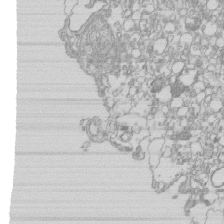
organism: Mouse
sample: Macrophages